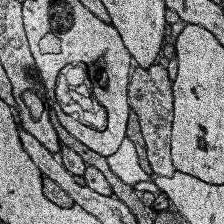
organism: Human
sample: Temporal Lobe